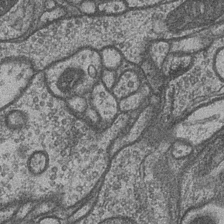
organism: Drosophila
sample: Optic medulla